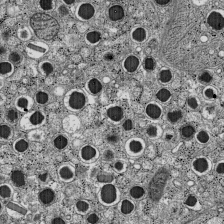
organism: C57BL Mouse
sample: Pancreatic islet